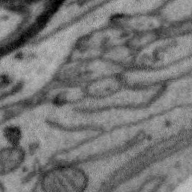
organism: Zebra finch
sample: Brain